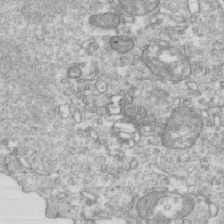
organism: Mouse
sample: Activated OT-1 CD8+ T cells